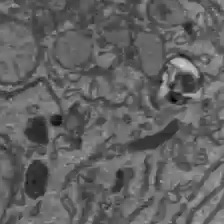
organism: C57BL Mouse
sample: Liver